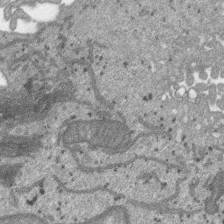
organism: Human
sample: Lung epithelial cells infected with SARS-CoV-2